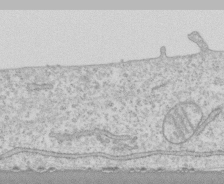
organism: Human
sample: CRL-1474